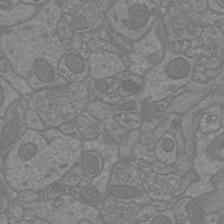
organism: Mouse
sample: Cortical neurons